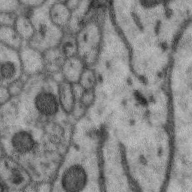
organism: Zebra finch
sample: Brain